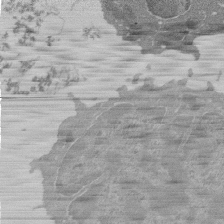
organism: Mouse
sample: Activated Pmel transgenic CD8+ T Cells